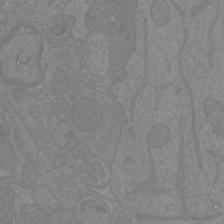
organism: Mouse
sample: Cortical neurons